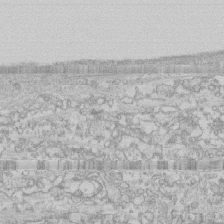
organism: Human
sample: CRL-1474